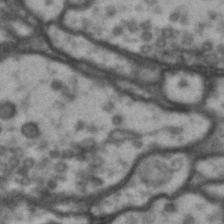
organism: Drosophila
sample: Brain